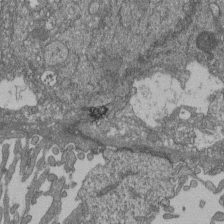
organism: Human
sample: Retinal organoid Rod and Cone cells